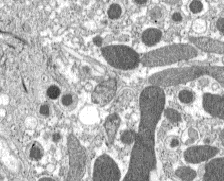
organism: C57BL Mouse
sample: Pancreatic islet